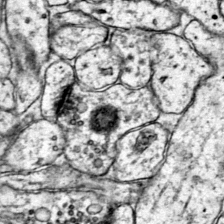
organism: Mouse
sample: Primary visual cortex